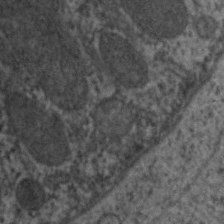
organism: C. elegans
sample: Pharynx